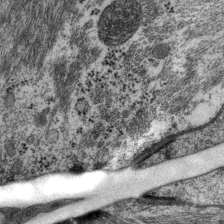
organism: P. pacificus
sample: Pharynx